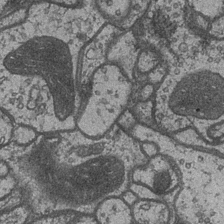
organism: Drosophila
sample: Optic medulla